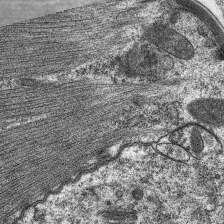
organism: C. elegans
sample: Pharynx